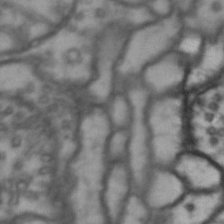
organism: Drosophila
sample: Brain